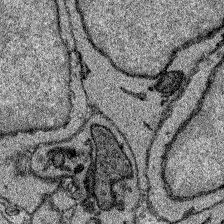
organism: Zebrafish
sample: Larval olfactory bulb